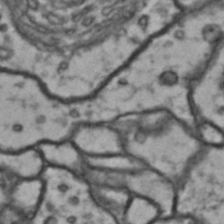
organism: Drosophila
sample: Brain